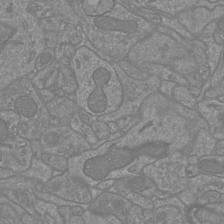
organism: Mouse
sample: Cortical neurons